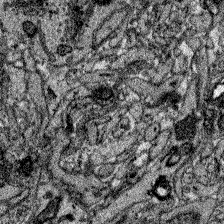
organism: Zebrafish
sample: Larval olfactory bulb